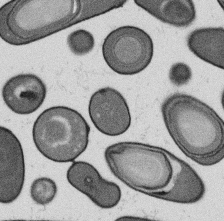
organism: B. subtilis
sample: Bacterial spore